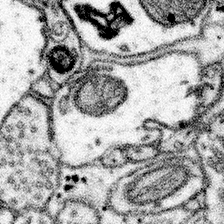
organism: Mouse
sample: Somatosensory cortex neuropil